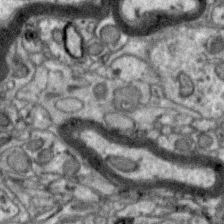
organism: Zebra finch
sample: Brain